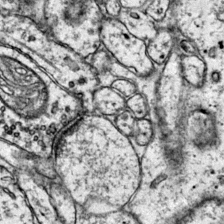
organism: Mouse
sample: Primary visual cortex